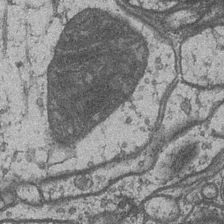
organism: Drosophila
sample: Optic medulla